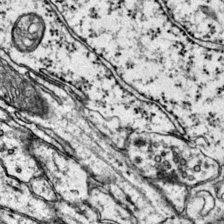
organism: Mouse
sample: Primary visual cortex